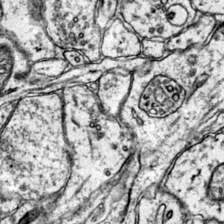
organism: Mouse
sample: Primary visual cortex